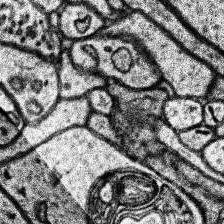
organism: Human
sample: Temporal Lobe